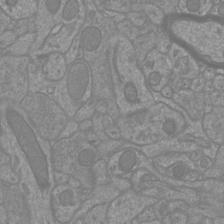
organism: Mouse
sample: Cortical neurons